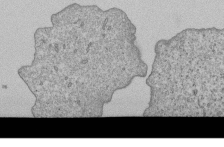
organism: Human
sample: MDA-MB-231 cells